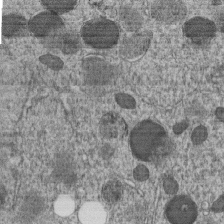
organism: C. elegans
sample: C. elegans embryo early stage